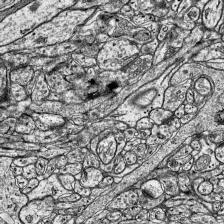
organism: Mouse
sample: Visual Cortex